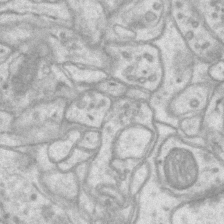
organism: Mouse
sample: CA1 Hippocampus